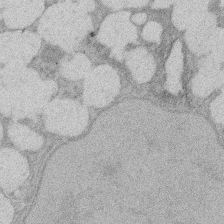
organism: Rat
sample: Salivary granule